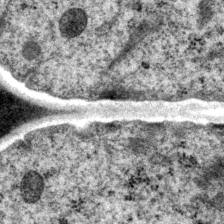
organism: P. pacificus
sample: Pharynx